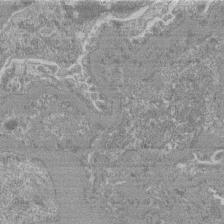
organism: Mouse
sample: Glomerulus